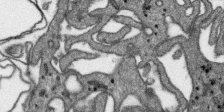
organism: Human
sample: Lung epithelial cells, uninfected (mock) control